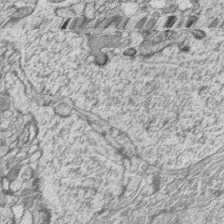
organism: Zebrafish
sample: synaptic ribbons in rod cells and cone cells